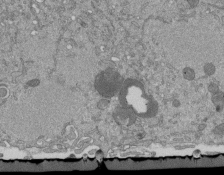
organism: Mouse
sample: ED-1 cell nuclei; centrioles